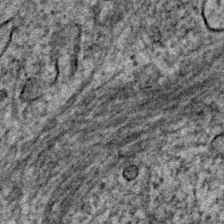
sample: Trachea